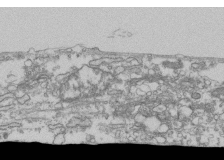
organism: Human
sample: Fibroblast cells